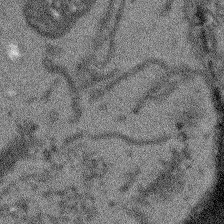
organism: Arabidopsis thaliana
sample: Root tip